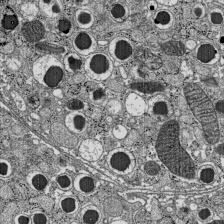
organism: C57BL Mouse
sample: Pancreatic islet